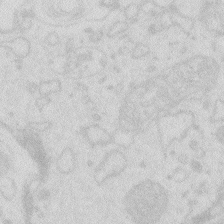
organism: Zebrafish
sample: Macrophage